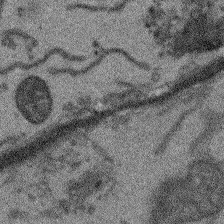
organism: Arabidopsis thaliana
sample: Root tip